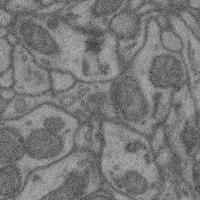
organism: Mouse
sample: Cerebral cortex